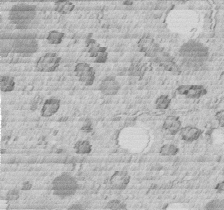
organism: C. elegans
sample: C. elegans embryo early stage